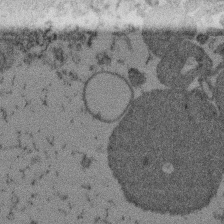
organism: Mouse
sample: Dividing mouse embryo 1 cell stage